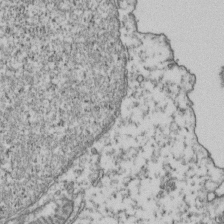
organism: Human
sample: Activated Jurkat CD4+ T cells